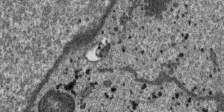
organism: Human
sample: Lung epithelial cells infected with SARS-CoV-2